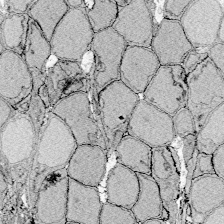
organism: Zebrafish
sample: Whole-Brain